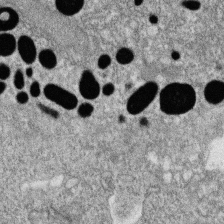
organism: Zebrafish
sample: Cilia; retinal pigment epithelium